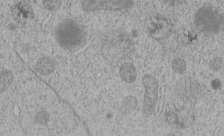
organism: C. elegans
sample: C. elegans embryo early stage